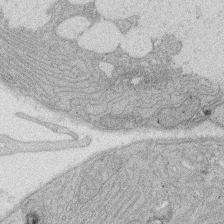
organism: Rat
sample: Salivary granule